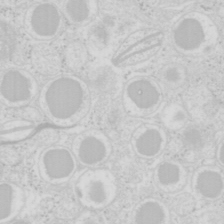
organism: Mouse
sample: Pancreas